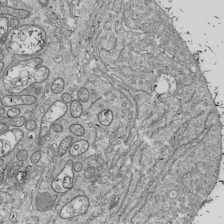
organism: Drosophila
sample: Cell division; meiosis; drosophila spermatocytes